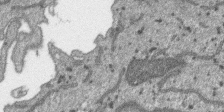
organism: Human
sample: Lung epithelial cells infected with SARS-CoV-2